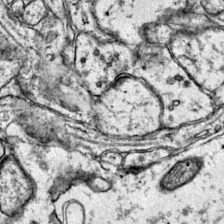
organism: Mouse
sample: Primary visual cortex